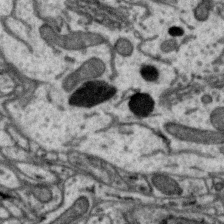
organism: Zebra finch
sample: Brain